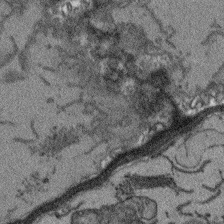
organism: Arabidopsis thaliana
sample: Root tip